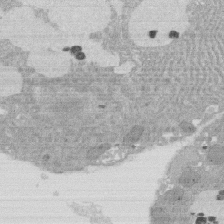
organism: Rat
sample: Salivary granule